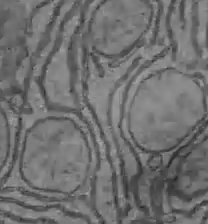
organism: C57BL Mouse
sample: Liver